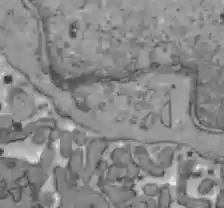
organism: C57BL Mouse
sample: Liver